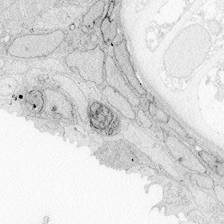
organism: Zebrafish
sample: Whole-Brain